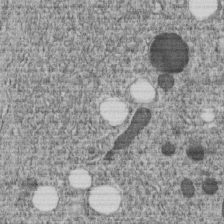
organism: C. elegans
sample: C. elegans embryo early stage